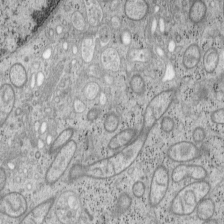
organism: Mouse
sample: OT-I killer T cells with ID8 ovarian cancer cells